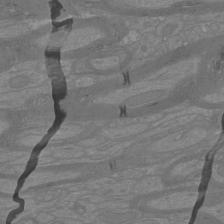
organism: Mouse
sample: Cortical neurons